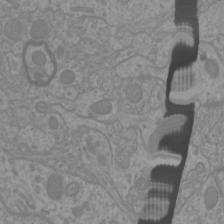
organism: Mouse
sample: Cortical neurons